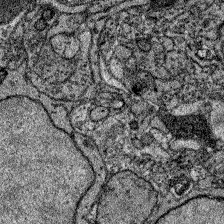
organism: Zebrafish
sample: Larval olfactory bulb